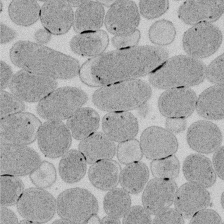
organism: E. coli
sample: Bacterial nucleoid